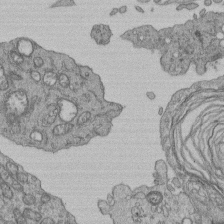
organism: Human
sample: Retinal organoid Rod and Cone cells